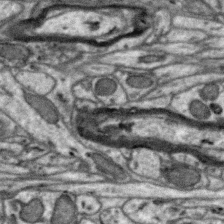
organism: Zebra finch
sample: Brain